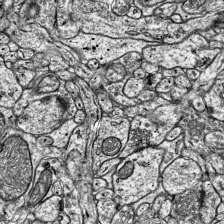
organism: Mouse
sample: Visual Cortex